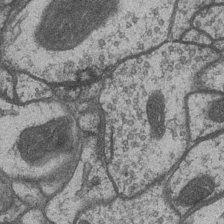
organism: Drosophila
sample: Optic medulla